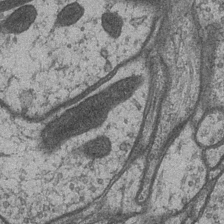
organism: Drosophila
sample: Optic medulla